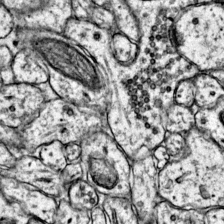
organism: Mouse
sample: Primary visual cortex